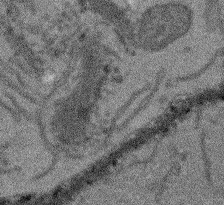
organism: Arabidopsis thaliana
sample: Root tip